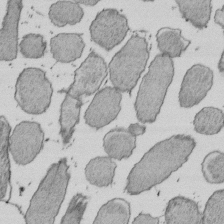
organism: E. coli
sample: Bacterial nucleoid